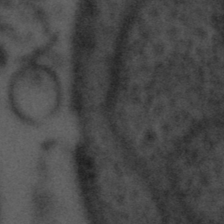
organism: Tuwongella immobilis